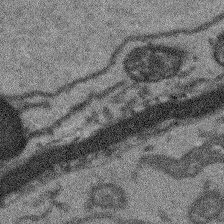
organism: Arabidopsis thaliana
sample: Root tip